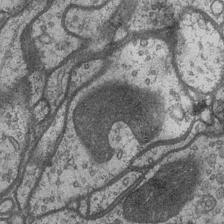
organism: Drosophila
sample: Optic medulla